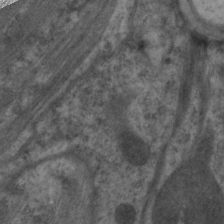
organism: C. elegans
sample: Pharynx